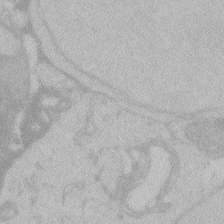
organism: Zebrafish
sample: Macrophage infected with Toxoplasma gondii